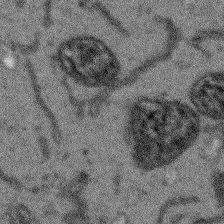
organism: Arabidopsis thaliana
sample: Root tip